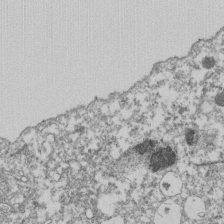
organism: Dictyostelium discoideum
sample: Dictyostelium multivesicular bodies